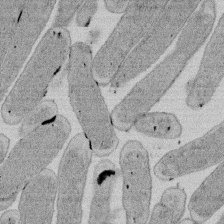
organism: E. coli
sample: Bacterial nucleoid